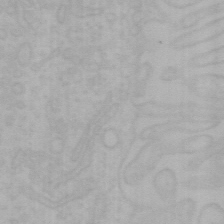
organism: Mouse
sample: Choroid plexus